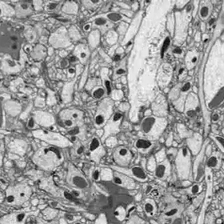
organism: Drosophila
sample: Optic lobe